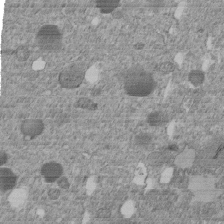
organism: C. elegans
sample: C. elegans embryo early stage